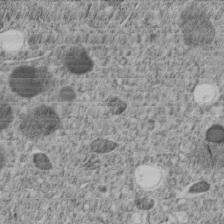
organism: C. elegans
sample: C. elegans embryo early stage